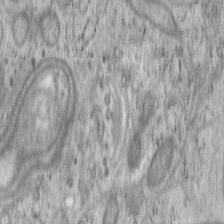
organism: Human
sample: HeLa cells